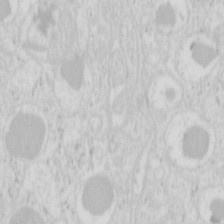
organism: Mouse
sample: Pancreas